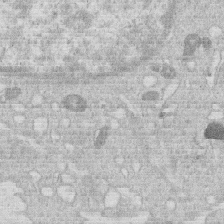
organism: Human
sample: Macrophage cells